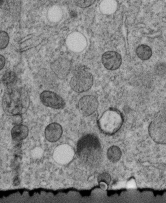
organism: C. elegans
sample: C. elegans embryo early stage